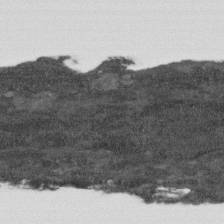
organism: Human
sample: Fibroblast cells